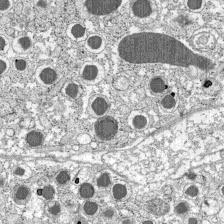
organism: C57BL Mouse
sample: Pancreatic islet